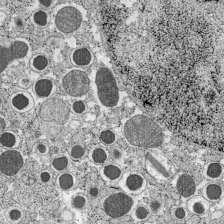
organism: C57BL Mouse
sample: Pancreatic islet